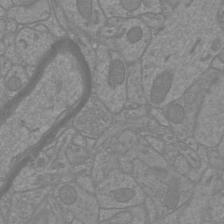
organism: Mouse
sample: Cortical neurons